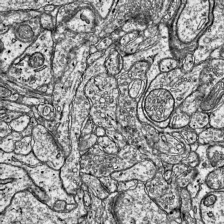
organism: Mouse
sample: Visual Cortex